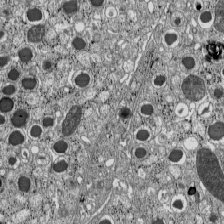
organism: C57BL Mouse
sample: Pancreatic islet